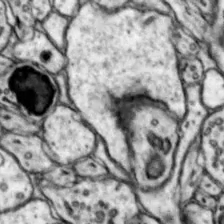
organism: Mouse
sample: Nucleus accumbens